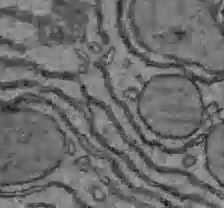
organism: C57BL Mouse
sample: Liver